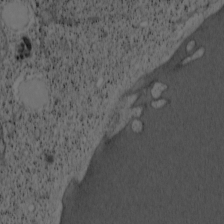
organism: African green monkey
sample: COS-7 cells